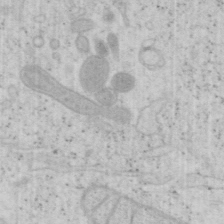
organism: Human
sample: HeLa cells